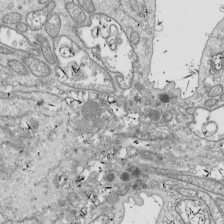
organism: Drosophila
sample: Cell division; meiosis; drosophila spermatocytes